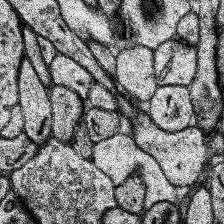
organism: Human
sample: Temporal Lobe